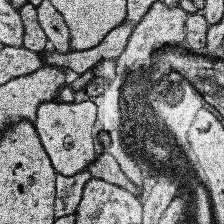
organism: Human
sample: Temporal Lobe